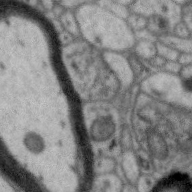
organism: Zebra finch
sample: Brain